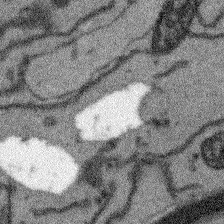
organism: Arabidopsis thaliana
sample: Root tip